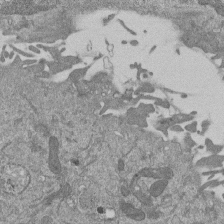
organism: Mouse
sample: ED-1 cell nuclei; centrioles